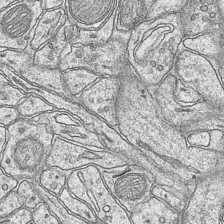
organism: Mouse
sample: CA1 Hippocampus